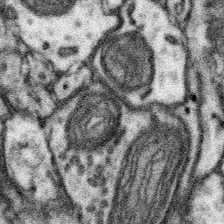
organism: Mouse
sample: Somatosensory cortex neuropil